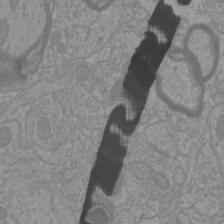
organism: Mouse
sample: Cortical neurons